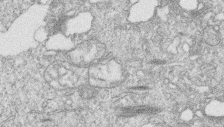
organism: Human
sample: HeLa cell HIV synapse